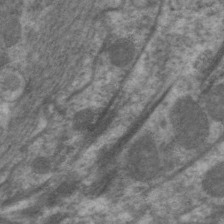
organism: C. elegans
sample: Pharynx